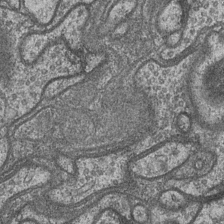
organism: Drosophila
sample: Optic medulla